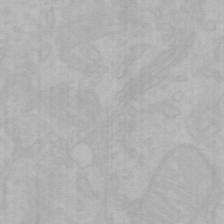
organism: Mouse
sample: Choroid plexus